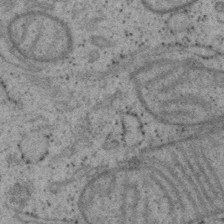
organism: Human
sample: HeLa cells